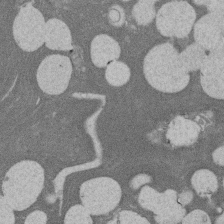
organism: Rat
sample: Salivary granule